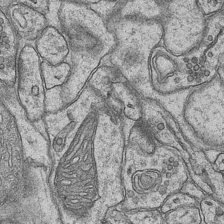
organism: Mouse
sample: CA1 Hippocampus